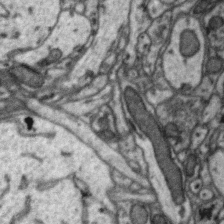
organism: Zebra finch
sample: Brain